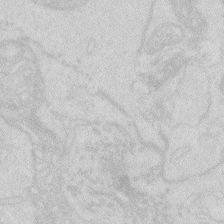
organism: Zebrafish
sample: Macrophage